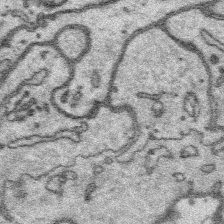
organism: Platynereis dumerilii